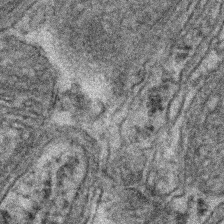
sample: Kidney